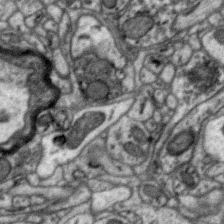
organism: Zebra finch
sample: Brain